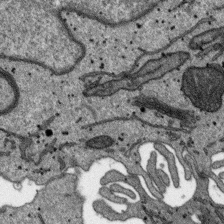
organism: Human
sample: Lung epithelial cells, uninfected (mock) control